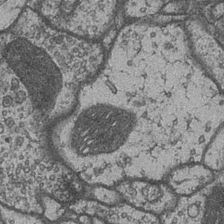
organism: Drosophila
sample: Optic medulla